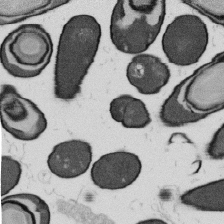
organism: B. subtilis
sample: Bacterial spore